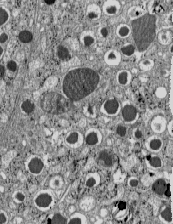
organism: C57BL Mouse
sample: Pancreatic islet